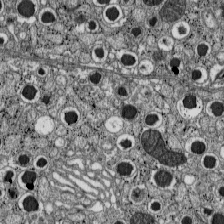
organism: C57BL Mouse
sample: Pancreatic islet